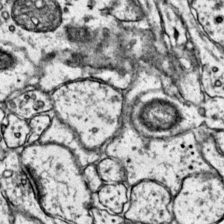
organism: Mouse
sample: Primary visual cortex